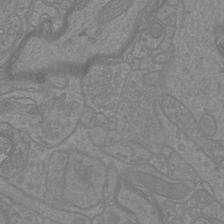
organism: Mouse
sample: Cortical neurons